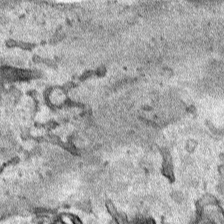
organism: Human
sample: Mitochondria in HCT116 cells